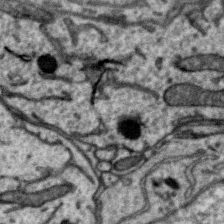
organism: Zebra finch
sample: Brain